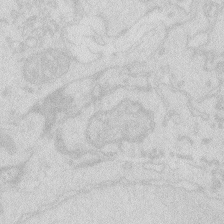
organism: Zebrafish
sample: Macrophage